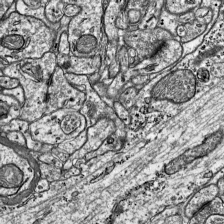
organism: Mouse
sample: Visual Cortex